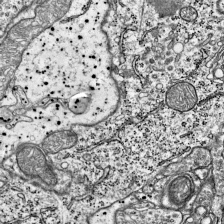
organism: Mouse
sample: Visual Cortex